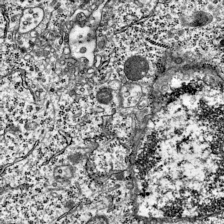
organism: Mouse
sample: Visual Cortex